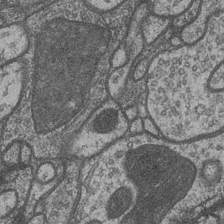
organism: Drosophila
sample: Optic medulla